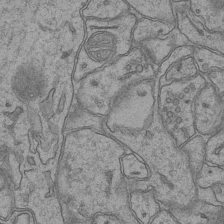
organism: Mouse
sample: CA1 Hippocampus